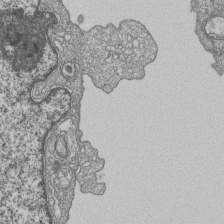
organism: Human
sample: MDA-MB-231 cells